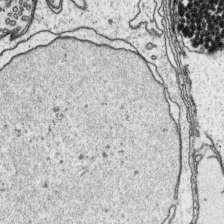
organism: Platynereis dumerilii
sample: Parapodia